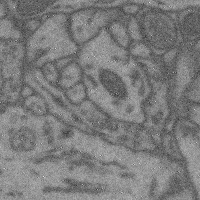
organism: Mouse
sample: Cerebral cortex